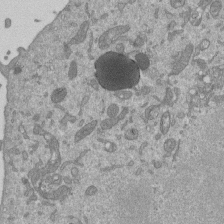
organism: Mouse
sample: ED-1 cell nuclei; centrioles